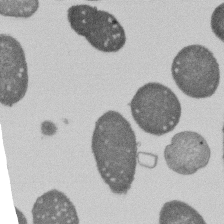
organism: E. coli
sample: Bacterial nucleoid